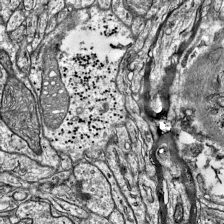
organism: Mouse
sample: Visual Cortex